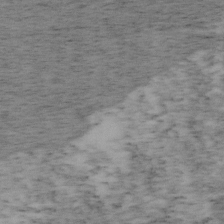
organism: Mouse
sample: OT-I killer T cells with ID8 ovarian cancer cells